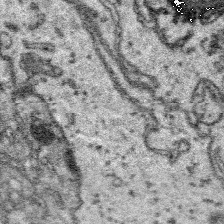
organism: Platynereis dumerilii